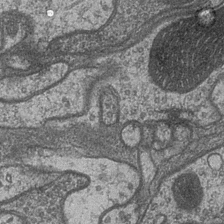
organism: Drosophila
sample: Optic medulla